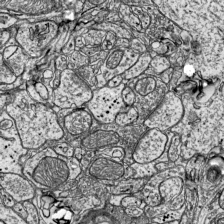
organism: Mouse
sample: Visual Cortex